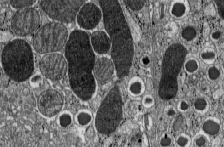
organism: C57BL Mouse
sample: Pancreatic islet